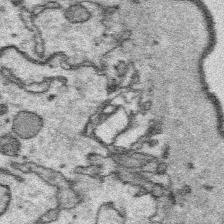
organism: Platynereis dumerilii